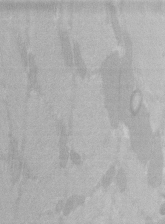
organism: C57BL Mouse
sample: Tibialis anterior muscle cell